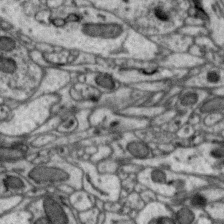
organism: Zebra finch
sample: Brain